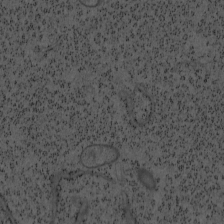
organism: Mouse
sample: OT-I killer T cells with ID8 ovarian cancer cells